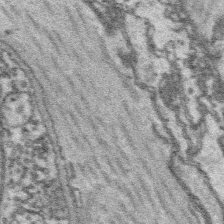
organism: Platynereis dumerilii